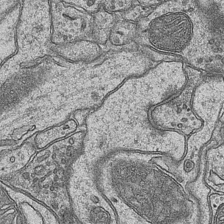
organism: Mouse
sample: CA1 Hippocampus